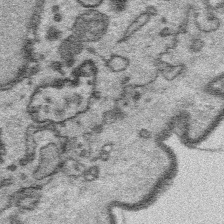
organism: Platynereis dumerilii